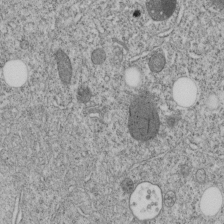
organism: C. elegans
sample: C. elegans embryo early stage